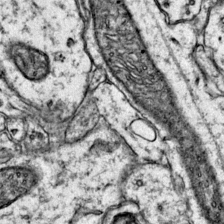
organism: Mouse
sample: Primary visual cortex